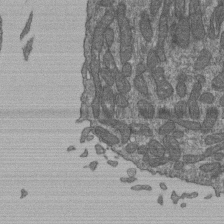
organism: Human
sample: Retinal organoid Rod and Cone cells